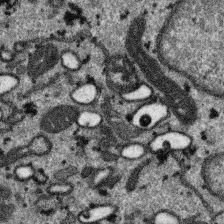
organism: Human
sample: Lung epithelial cells infected with SARS-CoV-2